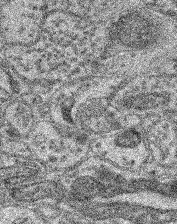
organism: Mouse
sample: Retina